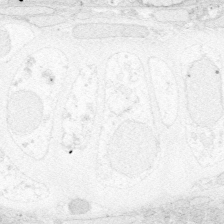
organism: Zebrafish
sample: Whole-Brain